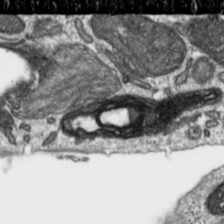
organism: Toxoplasma gondii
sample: Parasites in a vacuole inside a host cell